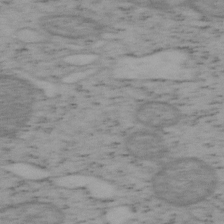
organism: Mouse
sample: OT-I killer T cells with ID8 ovarian cancer cells